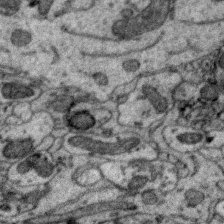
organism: Zebra finch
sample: Brain